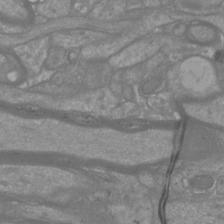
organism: Mouse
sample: Cortical neurons